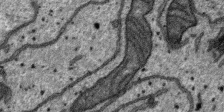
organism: Human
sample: Lung epithelial cells, uninfected (mock) control